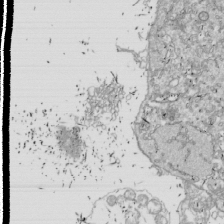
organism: Drosophila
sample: Cell division; meiosis; drosophila spermatocytes